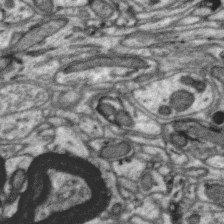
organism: Zebra finch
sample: Brain